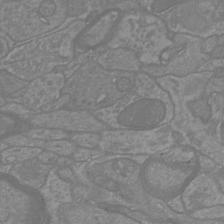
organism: Mouse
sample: Cortical neurons